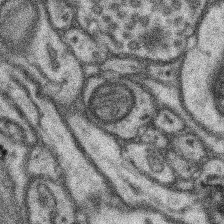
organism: Mouse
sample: Somatosensory cortex neuropil